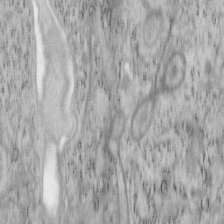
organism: Human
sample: HeLa cells